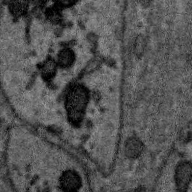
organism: Zebra finch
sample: Brain